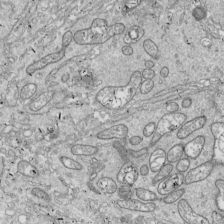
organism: Drosophila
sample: Cell division; meiosis; drosophila spermatocytes